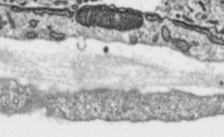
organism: Toxoplasma gondii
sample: Parasites in a vacuole inside a host cell